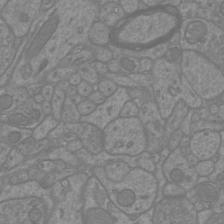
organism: Mouse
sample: Cortical neurons